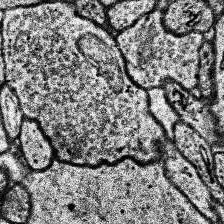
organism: Human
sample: Temporal Lobe